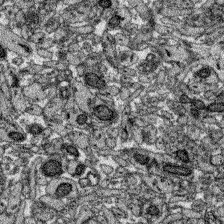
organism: Zebrafish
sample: Larval olfactory bulb